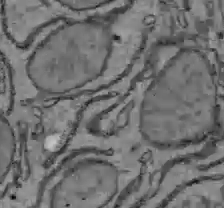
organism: C57BL Mouse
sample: Liver